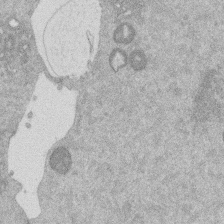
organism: Mouse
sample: Dividing mouse embryo 1 cell stage